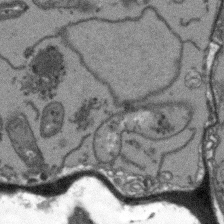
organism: Arabidopsis thaliana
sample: Root tip